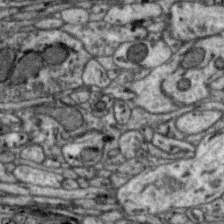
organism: Zebra finch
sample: Brain